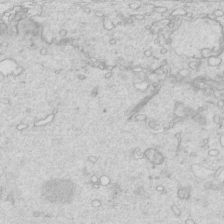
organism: Mouse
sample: Multiciliated cells